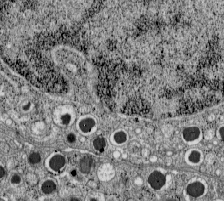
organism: C57BL Mouse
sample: Pancreatic islet